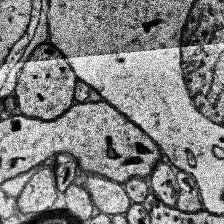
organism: Human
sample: Temporal Lobe